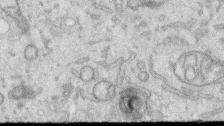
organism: Human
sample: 1205lu cells